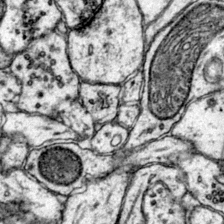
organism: Mouse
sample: Primary visual cortex